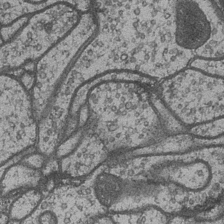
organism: Drosophila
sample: Optic medulla